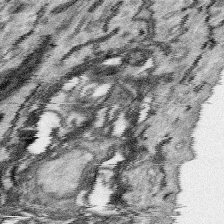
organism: Human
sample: HeLa cells